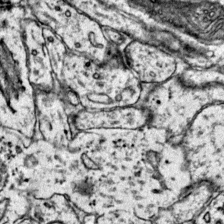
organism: Mouse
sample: Primary visual cortex